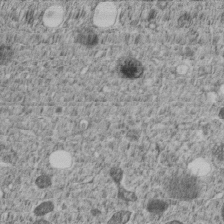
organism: C. elegans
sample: C. elegans embryo early stage